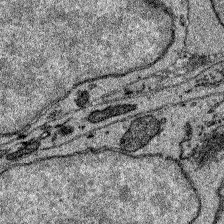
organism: Zebrafish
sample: Larval olfactory bulb